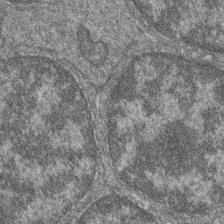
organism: Zebrafish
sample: Cilia; retinal pigment epithelium